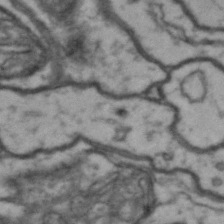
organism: Drosophila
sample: Brain